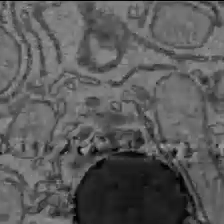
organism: C57BL Mouse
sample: Liver